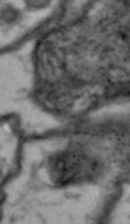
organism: Drosophila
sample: Brain